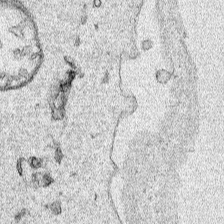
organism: Human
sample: Mitochondria in HCT116 cells